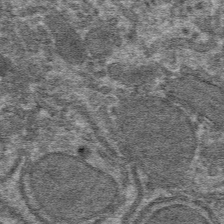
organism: Mouse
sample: Mouse hepatocytes